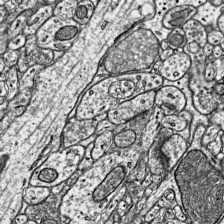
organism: Mouse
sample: Visual Cortex